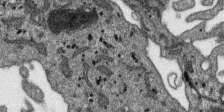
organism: Human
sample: Lung epithelial cells infected with SARS-CoV-2